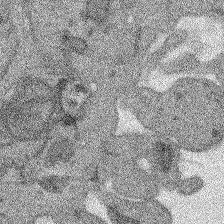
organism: Human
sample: HeLa cells